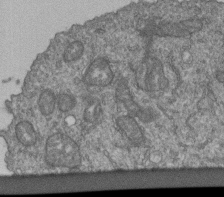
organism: Human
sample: Retinal organoid Rod and Cone cells